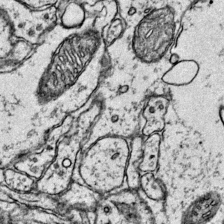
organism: Mouse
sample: Primary visual cortex